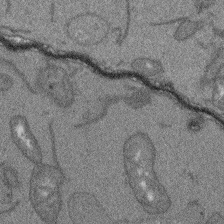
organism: Arabidopsis thaliana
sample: Root tip